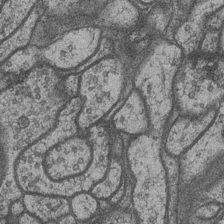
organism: Drosophila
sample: Optic medulla